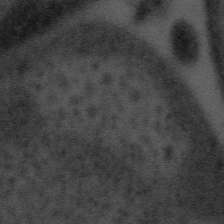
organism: Tuwongella immobilis